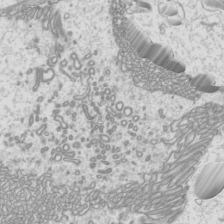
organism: Mouse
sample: Cilia; mouse epididymis